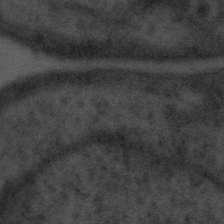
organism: Tuwongella immobilis